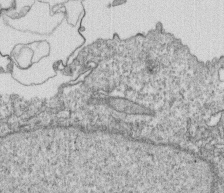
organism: Human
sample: HeLa cell HIV synapse